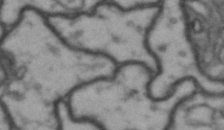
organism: Drosophila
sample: Brain